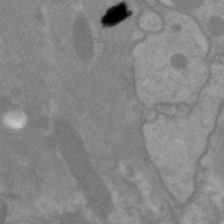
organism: C. elegans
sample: Pharynx